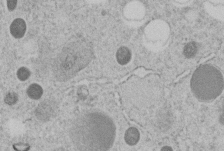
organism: C. elegans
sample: C. elegans embryo early stage